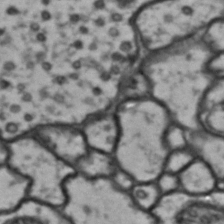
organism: Drosophila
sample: Brain